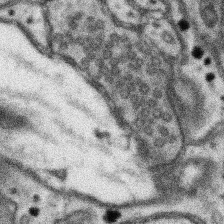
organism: Mouse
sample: Somatosensory cortex neuropil